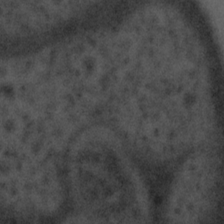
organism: Tuwongella immobilis